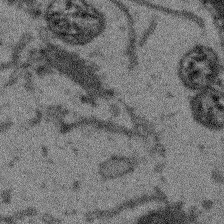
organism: Arabidopsis thaliana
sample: Root tip